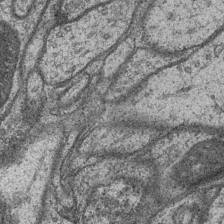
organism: Drosophila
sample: Optic medulla